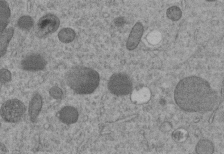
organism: C. elegans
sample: C. elegans embryo early stage